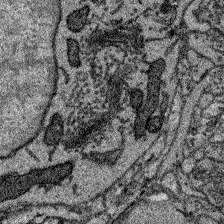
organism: Zebrafish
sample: Larval olfactory bulb